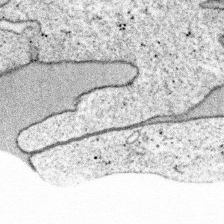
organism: Human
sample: HeLa cells